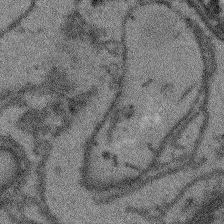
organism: Arabidopsis thaliana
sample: Root tip